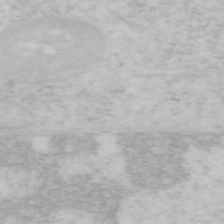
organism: Mouse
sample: OT-I killer T cells with ID8 ovarian cancer cells